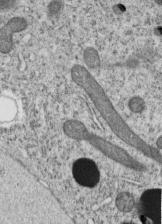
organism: C. elegans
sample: C. elegans embryo early stage